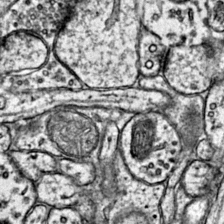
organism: Mouse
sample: Primary visual cortex